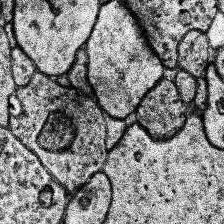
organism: Human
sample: Temporal Lobe